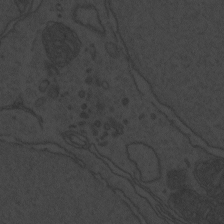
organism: Zebrafish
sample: Macrophage infected with Toxoplasma gondii